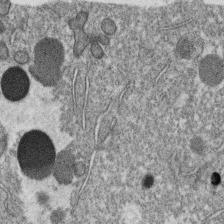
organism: C. elegans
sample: C. elegans oocyte; sperm cells